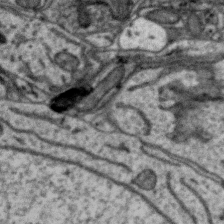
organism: Zebra finch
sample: Brain